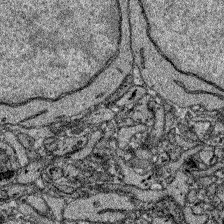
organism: Zebrafish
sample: Larval olfactory bulb